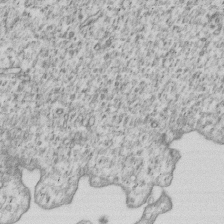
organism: Human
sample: MDA-MB-231 cells